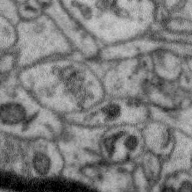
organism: Zebra finch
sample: Brain